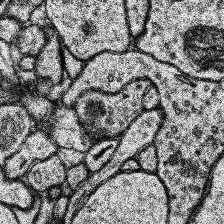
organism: Human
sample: Temporal Lobe